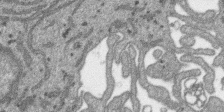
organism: Human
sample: Lung epithelial cells infected with SARS-CoV-2